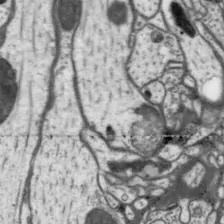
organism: Drosophila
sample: Protocerebral bridge